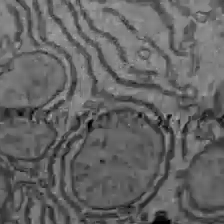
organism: C57BL Mouse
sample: Liver